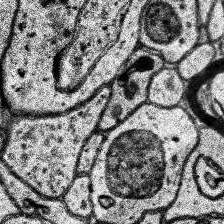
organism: Human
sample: Temporal Lobe